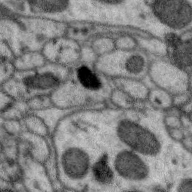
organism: Zebra finch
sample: Brain